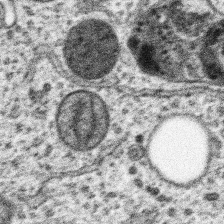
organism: Human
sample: HeLa cells